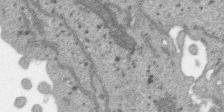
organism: Human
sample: Lung epithelial cells infected with SARS-CoV-2